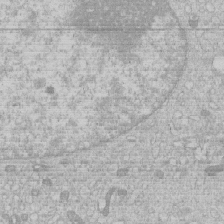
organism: Human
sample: Macrophage cells